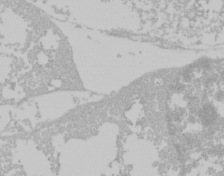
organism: Mouse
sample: Cancer cell death in ED-1 cells